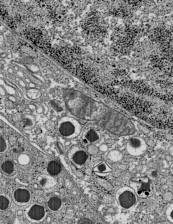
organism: C57BL Mouse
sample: Pancreatic islet